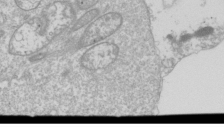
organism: Drosophila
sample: Cell division; meiosis; drosophila spermatocytes